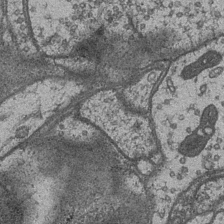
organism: Drosophila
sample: Optic medulla